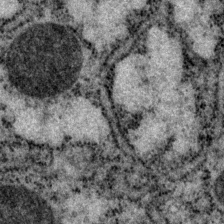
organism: P. pacificus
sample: Pharynx